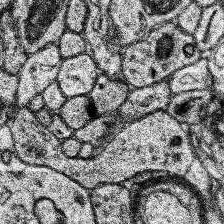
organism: Human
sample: Temporal Lobe